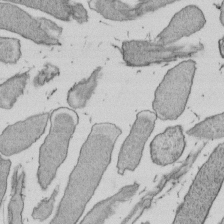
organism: E. coli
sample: Bacterial nucleoid